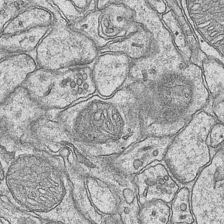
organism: Mouse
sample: CA1 Hippocampus